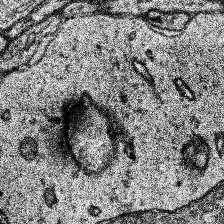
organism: Human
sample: Temporal Lobe